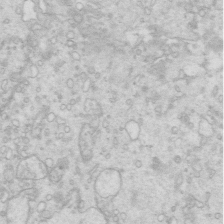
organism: Mouse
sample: Multiciliated cells